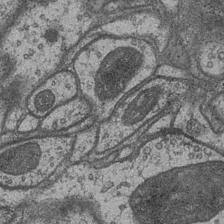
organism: Drosophila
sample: Optic medulla